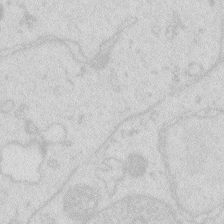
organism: Zebrafish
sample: Macrophage